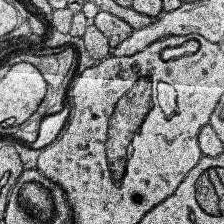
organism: Human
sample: Temporal Lobe